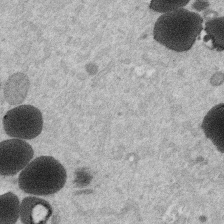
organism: Mouse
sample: Dividing mouse embryo 1 cell stage